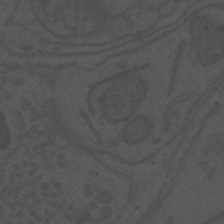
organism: Mouse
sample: Suprachiasmatic nucleus